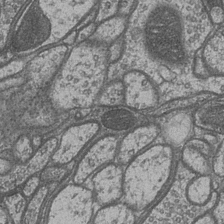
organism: Drosophila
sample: Optic medulla